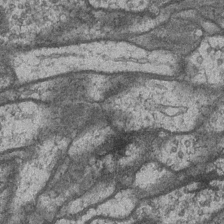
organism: Drosophila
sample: Optic medulla